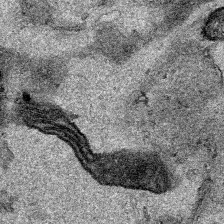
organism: Human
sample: Mitochondria in HCT116 cells